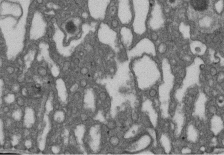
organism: Drosophila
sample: Nephrocyte